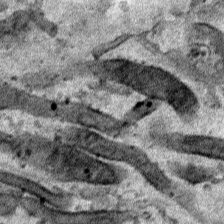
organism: Human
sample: Mitochondria in HCT116 cells